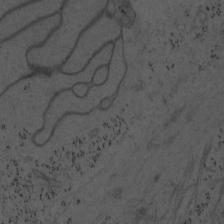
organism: Mouse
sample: OT-I killer T cells with ID8 ovarian cancer cells